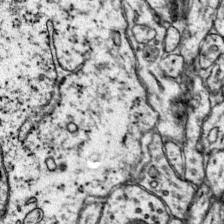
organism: Mouse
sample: Primary visual cortex